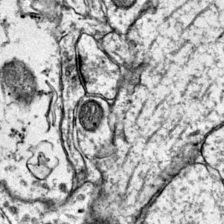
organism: Mouse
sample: Primary visual cortex